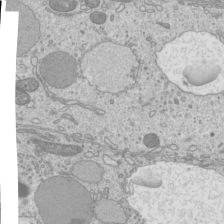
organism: Mouse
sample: Cilia; mouse epididymis